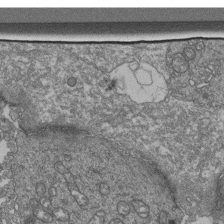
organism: Human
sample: Retinal organoid Rod and Cone cells